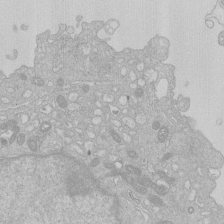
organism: Human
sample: Macrophage cells